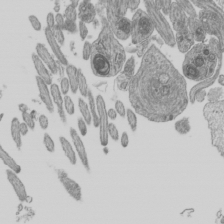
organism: Mouse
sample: Cilia; mouse epididymis